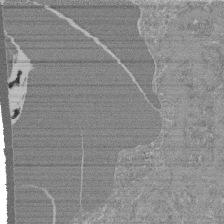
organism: Mouse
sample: Glomerulus